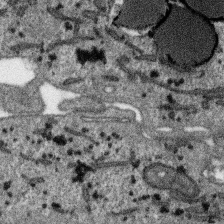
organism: Human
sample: Lung epithelial cells infected with SARS-CoV-2